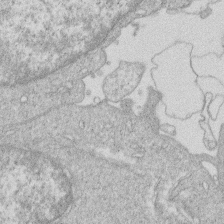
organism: Human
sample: Macrophage cells